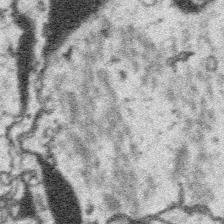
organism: Platynereis dumerilii